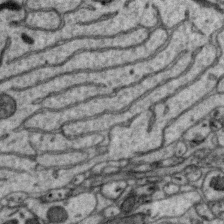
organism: Zebra finch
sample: Brain